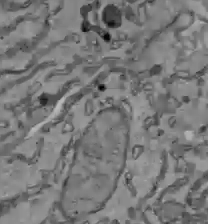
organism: C57BL Mouse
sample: Liver